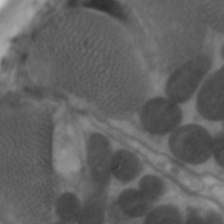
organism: C. elegans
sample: Pharynx